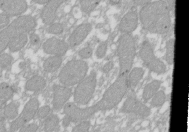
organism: Xenopus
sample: Cilia; centrioles in frog embryo cells